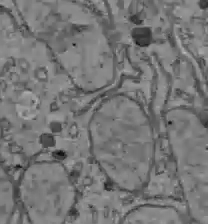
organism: C57BL Mouse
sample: Liver